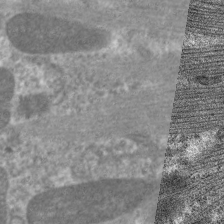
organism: C. elegans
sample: Pharynx